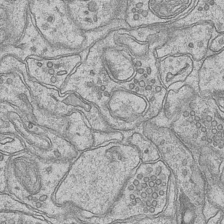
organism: Mouse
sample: CA1 Hippocampus